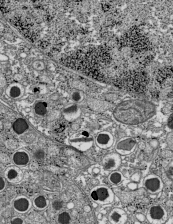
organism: C57BL Mouse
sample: Pancreatic islet